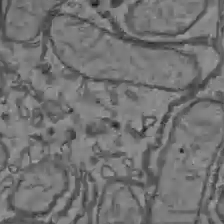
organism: C57BL Mouse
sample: Liver